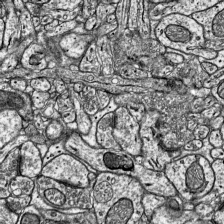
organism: Mouse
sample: Visual Cortex